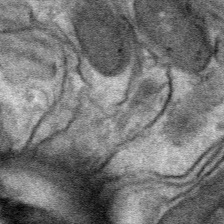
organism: Mouse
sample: Mouse Salivary gland